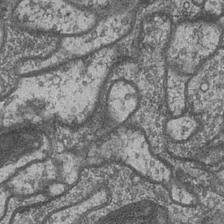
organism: Drosophila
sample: Optic medulla